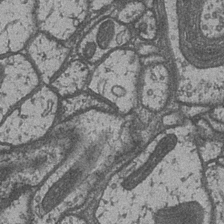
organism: Drosophila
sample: Optic medulla